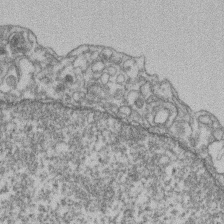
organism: Mouse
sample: T cell stromal cell synapse